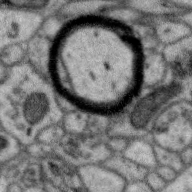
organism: Zebra finch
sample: Brain